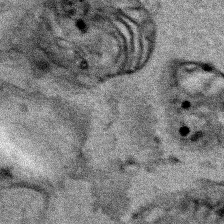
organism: Human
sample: Mitochondria in HCT116 cells